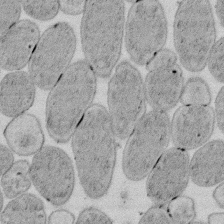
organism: E. coli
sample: Bacterial nucleoid